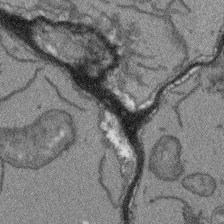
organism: Arabidopsis thaliana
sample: Root tip